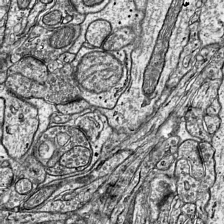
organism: Mouse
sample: Visual Cortex